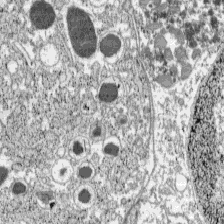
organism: C57BL Mouse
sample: Pancreatic islet